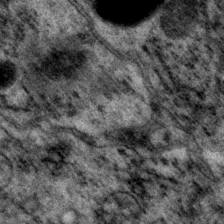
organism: P. pacificus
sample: Pharynx